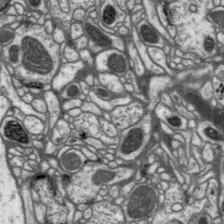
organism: Drosophila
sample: Protocerebral bridge